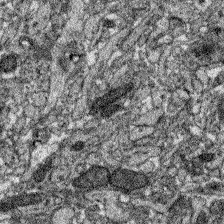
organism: Zebrafish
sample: Larval olfactory bulb